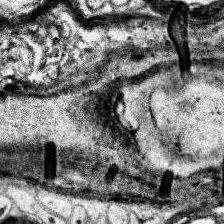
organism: Human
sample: Temporal Lobe